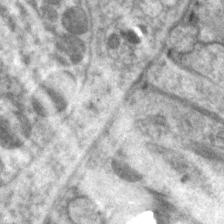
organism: C. elegans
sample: Pharynx